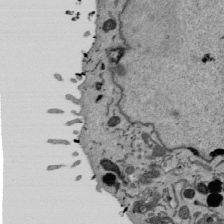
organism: Mouse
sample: ED-1 cell nuclei; centrioles